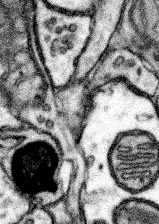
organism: Mouse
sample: Somatosensory cortex neuropil